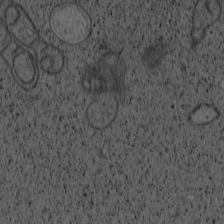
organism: African green monkey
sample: COS-7 cells